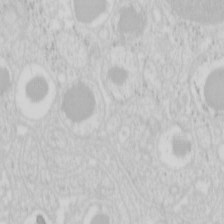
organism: Mouse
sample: Pancreas